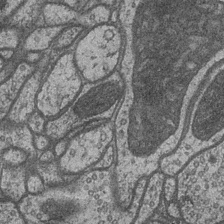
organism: Drosophila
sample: Optic medulla